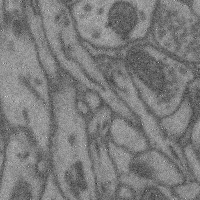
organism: Mouse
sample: Cerebral cortex